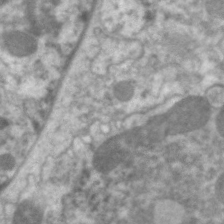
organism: C. elegans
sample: Pharynx